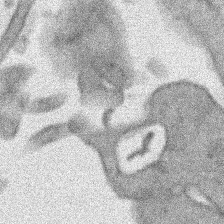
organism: Human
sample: Mitochondria in HCT116 cells